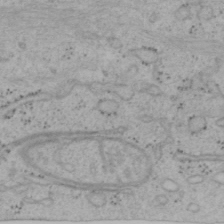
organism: Human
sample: HeLa cells